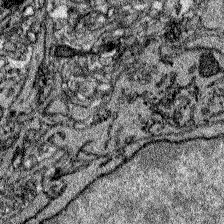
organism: Zebrafish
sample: Larval olfactory bulb